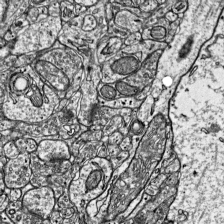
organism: Mouse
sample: Visual Cortex